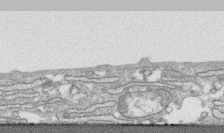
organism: Human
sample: CRL-1474